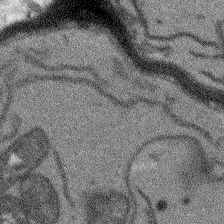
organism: Arabidopsis thaliana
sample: Root tip